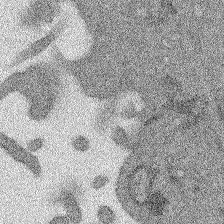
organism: Human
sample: HeLa cells